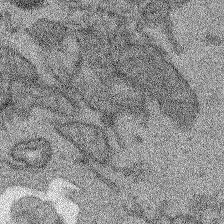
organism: Human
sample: HeLa cells